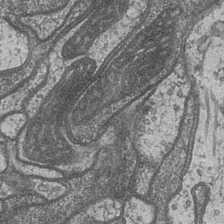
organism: Drosophila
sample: Optic medulla